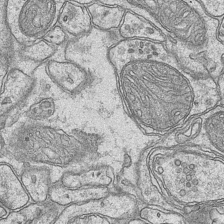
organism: Mouse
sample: CA1 Hippocampus